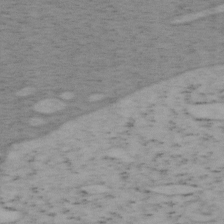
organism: Mouse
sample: OT-I killer T cells with ID8 ovarian cancer cells